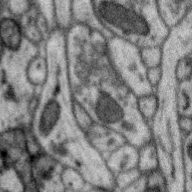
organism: Zebra finch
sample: Brain